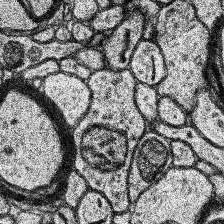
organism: Human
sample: Temporal Lobe